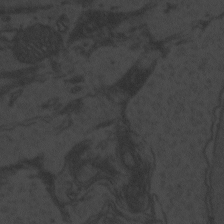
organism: Zebrafish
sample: Macrophage infected with Toxoplasma gondii